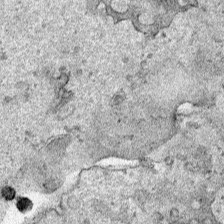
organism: Human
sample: Mitochondria in HCT116 cells